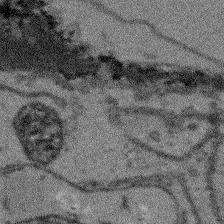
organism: Arabidopsis thaliana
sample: Root tip